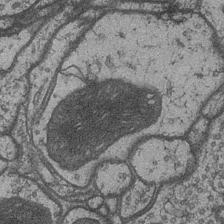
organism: Drosophila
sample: Optic medulla